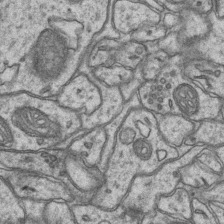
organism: Mouse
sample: CA1 Hippocampus